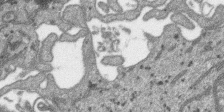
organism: Human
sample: Lung epithelial cells infected with SARS-CoV-2